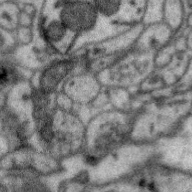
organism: Zebra finch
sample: Brain